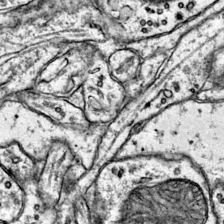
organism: Mouse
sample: Primary visual cortex